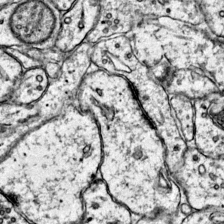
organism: Mouse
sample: Primary visual cortex